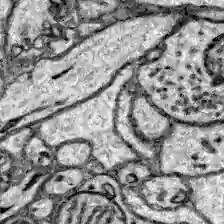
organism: Zebrafish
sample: Brain